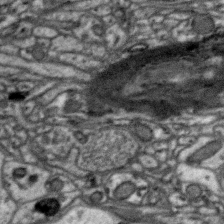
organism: Zebra finch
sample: Brain